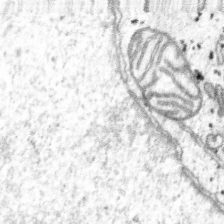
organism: Human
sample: HeLa cells